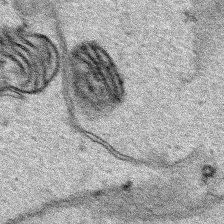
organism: Human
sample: Mitochondria in HCT116 cells